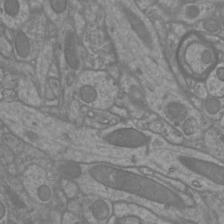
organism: Mouse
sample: Cortical neurons